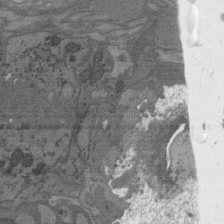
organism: C. elegans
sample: AFD neurons C. elegans